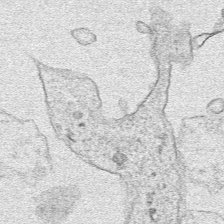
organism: Human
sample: Mitochondria in HCT116 cells